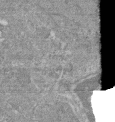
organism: Mouse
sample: Glomerulus